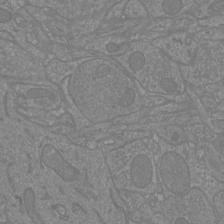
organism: Mouse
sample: Cortical neurons